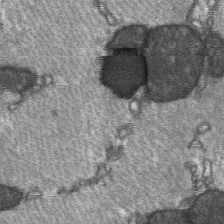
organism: C57BL Mouse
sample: Soleus